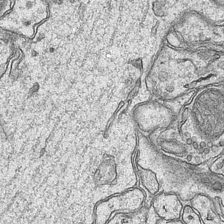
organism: Mouse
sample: CA1 Hippocampus